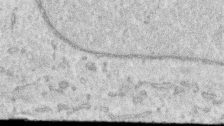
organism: Human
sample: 1205lu cells